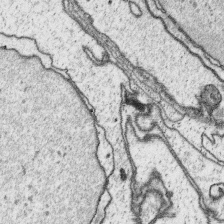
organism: Platynereis dumerilii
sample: Parapodia